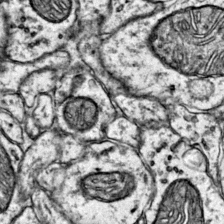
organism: Mouse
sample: Primary visual cortex